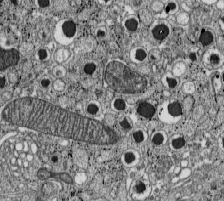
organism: C57BL Mouse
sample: Pancreatic islet